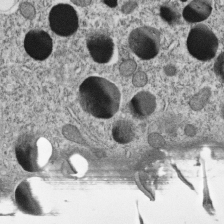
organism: C. elegans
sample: C. elegans embryo early stage